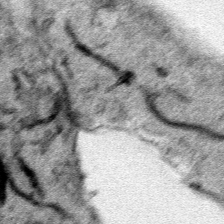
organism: Human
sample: Mitochondria in HCT116 cells